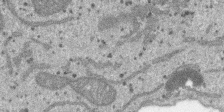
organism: Human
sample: Lung epithelial cells infected with SARS-CoV-2